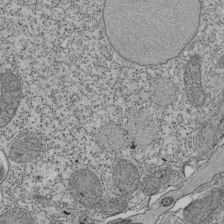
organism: Tetrahymena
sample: Cilia in tetrahymena